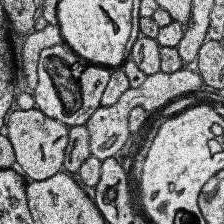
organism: Human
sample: Temporal Lobe